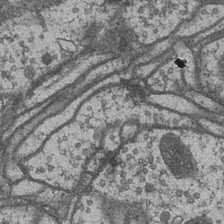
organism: Drosophila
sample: Optic medulla